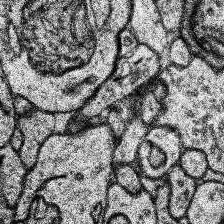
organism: Human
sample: Temporal Lobe